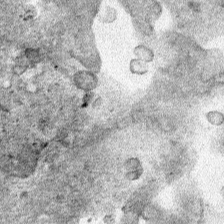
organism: Human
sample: Mitochondria in HCT116 cells